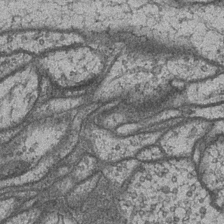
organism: Drosophila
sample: Optic medulla